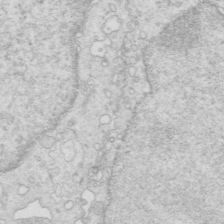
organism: Mouse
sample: Multiciliated cells